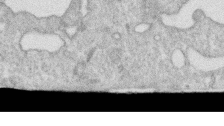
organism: Human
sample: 1205lu cells